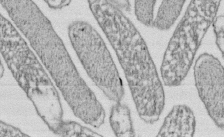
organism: E. coli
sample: Bacterial nucleoid